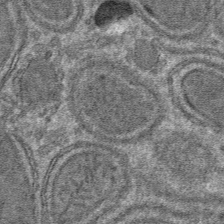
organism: Mouse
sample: Mouse hepatocytes